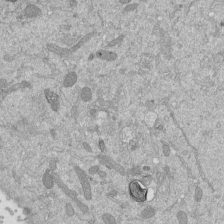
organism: Mouse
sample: ED-1 cell nuclei; centrioles